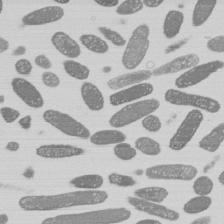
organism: E. coli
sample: Bacterial nucleoid